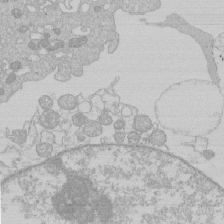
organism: Human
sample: Macrophage cells